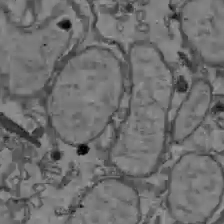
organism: C57BL Mouse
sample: Liver